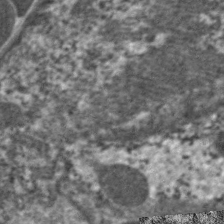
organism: C. elegans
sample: Pharynx